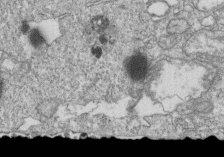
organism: Human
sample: HeLa cell HIV synapse